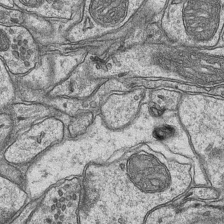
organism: Mouse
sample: CA1 Hippocampus